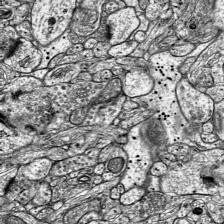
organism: Mouse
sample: Visual Cortex